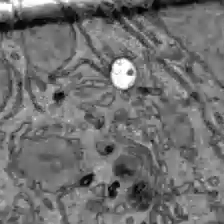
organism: C57BL Mouse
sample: Liver